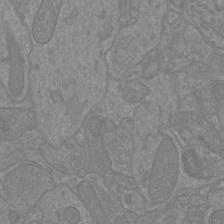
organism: Mouse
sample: Cortical neurons